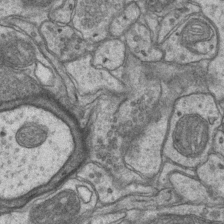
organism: Mouse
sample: CA1 Hippocampus